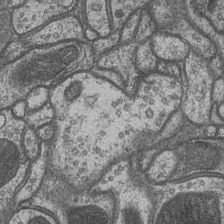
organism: Drosophila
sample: Optic medulla